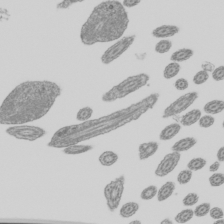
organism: Mouse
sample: Cilia; mouse epididymis